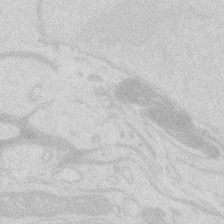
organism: Zebrafish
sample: Macrophage